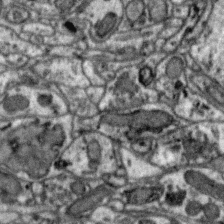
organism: Zebra finch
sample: Brain